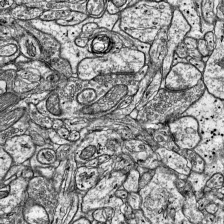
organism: Mouse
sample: Visual Cortex